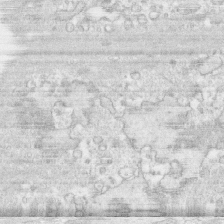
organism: Human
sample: CRL-1474